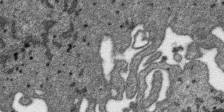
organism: Human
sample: Lung epithelial cells infected with SARS-CoV-2